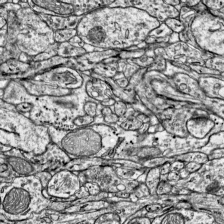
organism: Mouse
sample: Visual Cortex